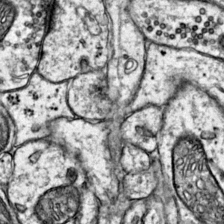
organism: Mouse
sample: Primary visual cortex